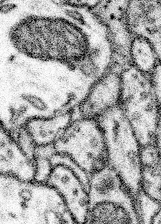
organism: Mouse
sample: Somatosensory cortex neuropil